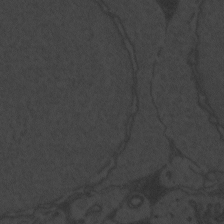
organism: Zebrafish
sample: Macrophage infected with Toxoplasma gondii